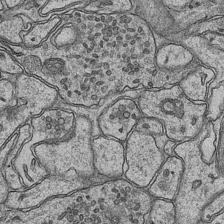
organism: Mouse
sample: CA1 Hippocampus